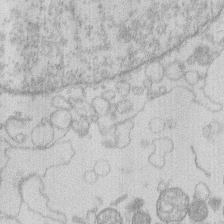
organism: Human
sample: Macrophage cells